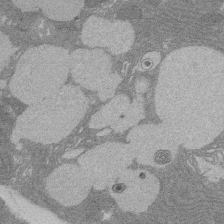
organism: Rat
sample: Salivary granule